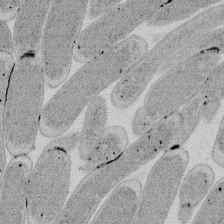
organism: E. coli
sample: Bacterial nucleoid